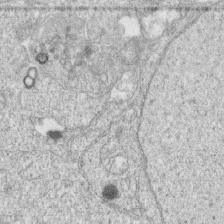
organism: Human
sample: HeLa cell HIV synapse